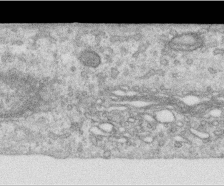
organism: Human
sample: Centriole in RPE cells